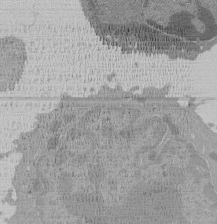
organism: Mouse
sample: Activated Pmel transgenic CD8+ T Cells